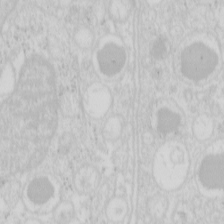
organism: Mouse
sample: Pancreas